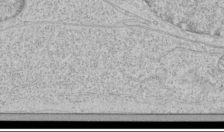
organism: Human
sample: Mitochondria in HCT116 cells